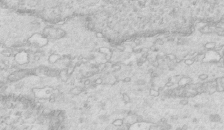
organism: Mouse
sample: Multiciliated cells